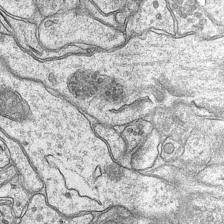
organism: Mouse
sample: CA1 Hippocampus